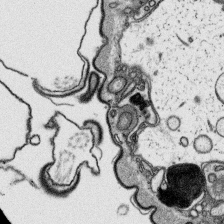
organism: Platynereis dumerilii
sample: Parapodia